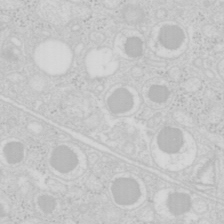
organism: Mouse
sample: Pancreas